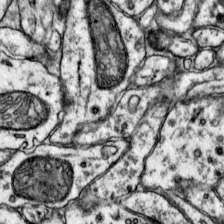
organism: Mouse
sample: Primary visual cortex